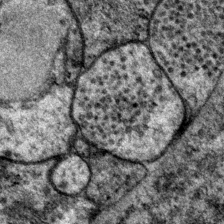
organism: P. pacificus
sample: Pharynx